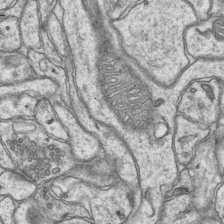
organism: Mouse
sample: CA1 Hippocampus